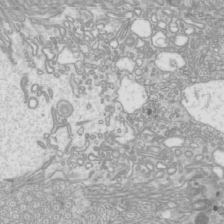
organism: Mouse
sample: Cilia; mouse epididymis